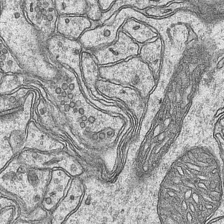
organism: Mouse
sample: CA1 Hippocampus